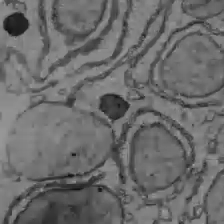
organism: C57BL Mouse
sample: Liver